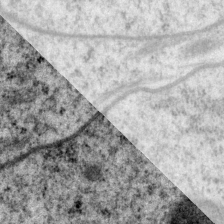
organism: P. pacificus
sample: Pharynx